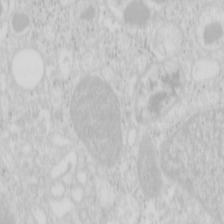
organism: Mouse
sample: Pancreas